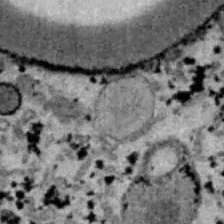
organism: Mouse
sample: Liver from an obese (ob/ob) mouse